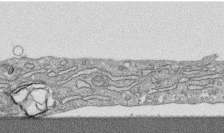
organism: Human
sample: CRL-1474